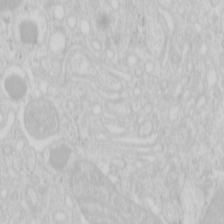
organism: Mouse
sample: Pancreas